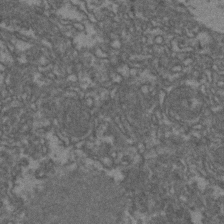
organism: Zebrafish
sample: Zebrafish embryo